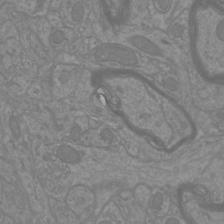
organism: Mouse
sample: Cortical neurons